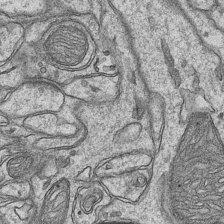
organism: Mouse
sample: CA1 Hippocampus